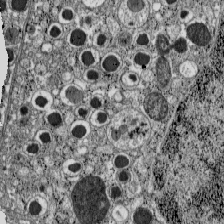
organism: C57BL Mouse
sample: Pancreatic islet